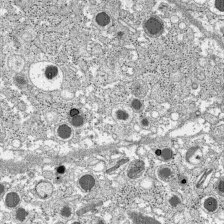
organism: C57BL Mouse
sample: Pancreatic islet